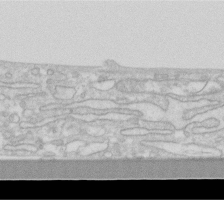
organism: Human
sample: Fibroblast cells